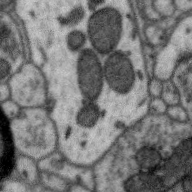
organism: Zebra finch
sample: Brain